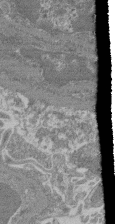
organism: Mouse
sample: Glomerulus